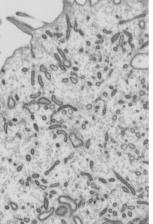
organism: Mouse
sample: Mouse epididymis efferent ductule cilia